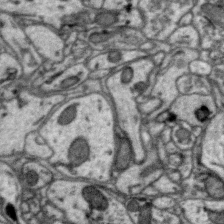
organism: Zebra finch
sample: Brain